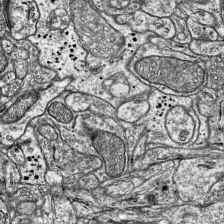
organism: Mouse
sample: Visual Cortex